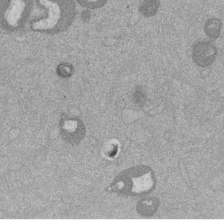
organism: Mouse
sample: Dividing mouse embryo 1 cell stage